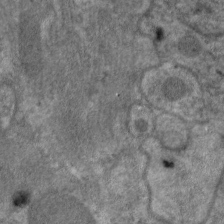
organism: C. elegans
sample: Pharynx